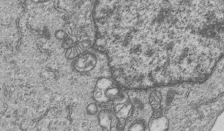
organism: Human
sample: MDA-MB-231 cells